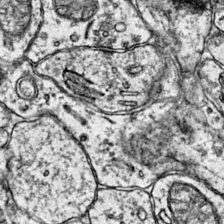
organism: Mouse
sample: Primary visual cortex